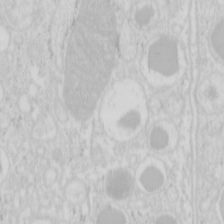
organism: Mouse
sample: Pancreas